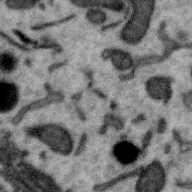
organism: Zebra finch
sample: Brain